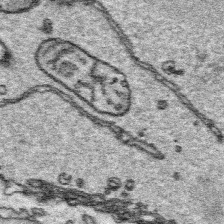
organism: Platynereis dumerilii